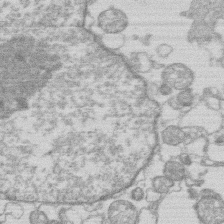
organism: Human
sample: Macrophage cells